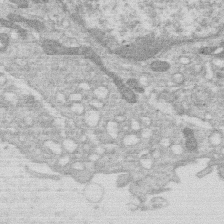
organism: Human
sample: Macrophage cells